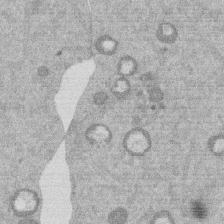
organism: Mouse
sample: Dividing mouse embryo 1 cell stage